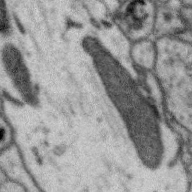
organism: Zebra finch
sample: Brain